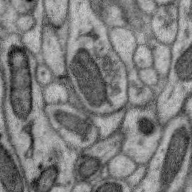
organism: Zebra finch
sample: Brain